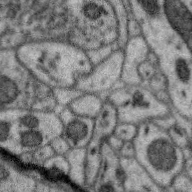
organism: Zebra finch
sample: Brain